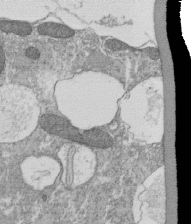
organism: Tetrahymena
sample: Cilia in tetrahymena